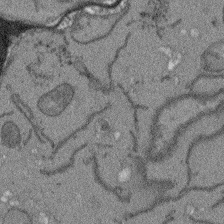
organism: Arabidopsis thaliana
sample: Root tip